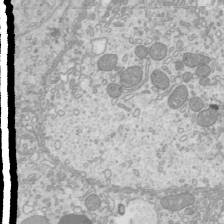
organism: Mouse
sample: Cilia; mouse epididymis